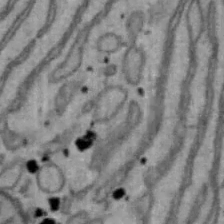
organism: Mouse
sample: Liver